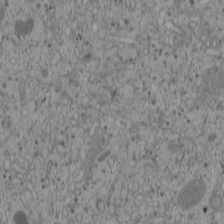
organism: African green monkey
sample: COS-7 cells